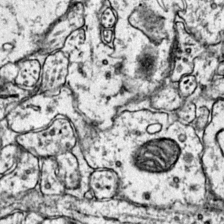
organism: Mouse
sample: Primary visual cortex